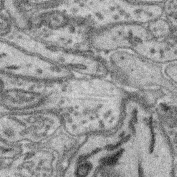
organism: Mouse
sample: Retina